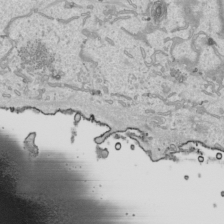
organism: Human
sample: Mitochondria in HCT116 cells